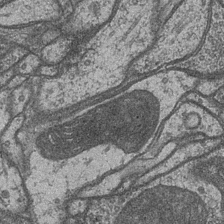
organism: Drosophila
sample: Optic medulla